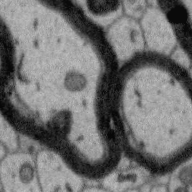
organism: Zebra finch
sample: Brain